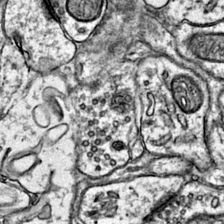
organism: Mouse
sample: Primary visual cortex